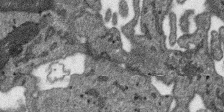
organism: Human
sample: Lung epithelial cells infected with SARS-CoV-2